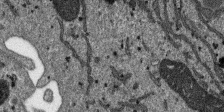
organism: Human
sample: Lung epithelial cells infected with SARS-CoV-2